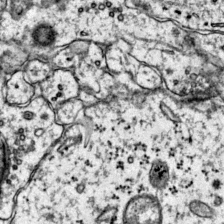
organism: Mouse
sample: Primary visual cortex